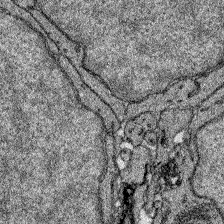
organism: Zebrafish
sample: Larval olfactory bulb